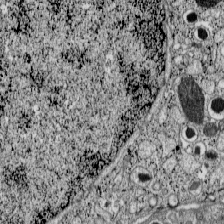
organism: C57BL Mouse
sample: Pancreatic islet